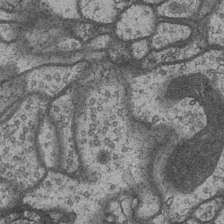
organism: Drosophila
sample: Optic medulla